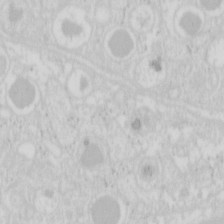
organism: Mouse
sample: Pancreas